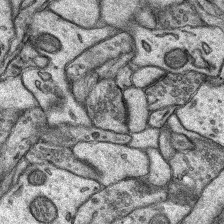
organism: Rat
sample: Hippocampus